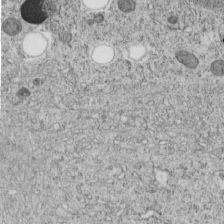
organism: C. elegans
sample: C. elegans embryo early stage